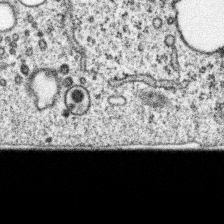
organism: Human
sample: HeLa cells